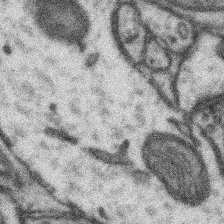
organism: Mouse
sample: Somatosensory cortex neuropil